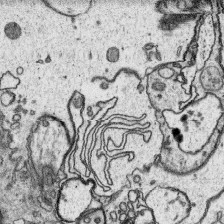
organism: Platynereis dumerilii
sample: Parapodia